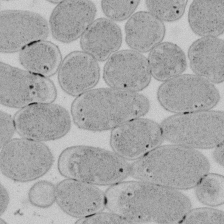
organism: E. coli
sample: Bacterial nucleoid